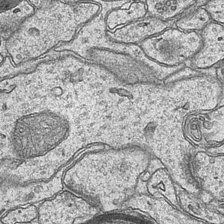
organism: Mouse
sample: CA1 Hippocampus